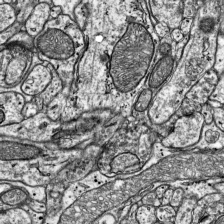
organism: Mouse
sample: Visual Cortex